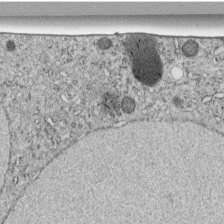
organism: C. elegans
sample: C. elegans embryo early stage